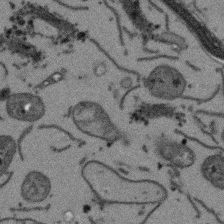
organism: Arabidopsis thaliana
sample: Root tip